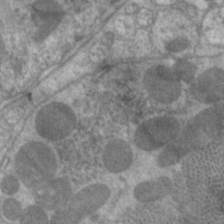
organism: C. elegans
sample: Pharynx